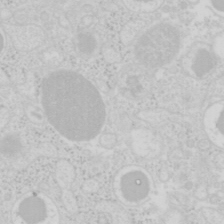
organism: Mouse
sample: Pancreas